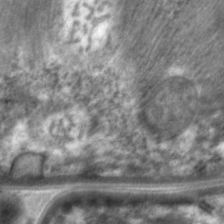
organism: C. elegans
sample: Pharynx